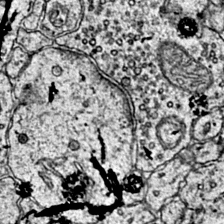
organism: Mouse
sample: Primary visual cortex